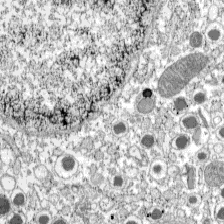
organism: C57BL Mouse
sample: Pancreatic islet